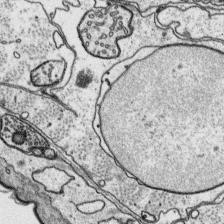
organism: Platynereis dumerilii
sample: Parapodia